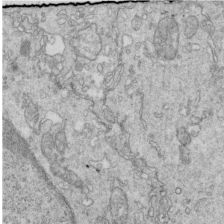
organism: Mouse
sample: Multiciliated cells